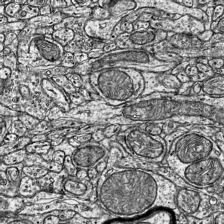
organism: Mouse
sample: Visual Cortex